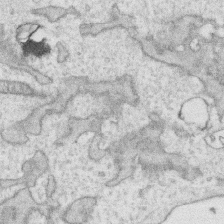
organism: Human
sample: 1205lu cells